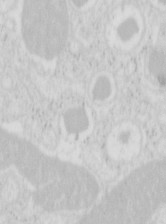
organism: Mouse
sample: Pancreas